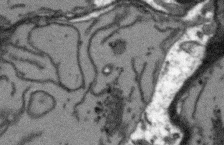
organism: Arabidopsis thaliana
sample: Root tip